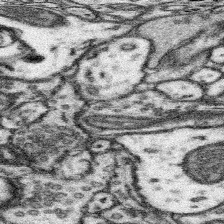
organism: Mouse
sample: Somatosensory cortex neuropil